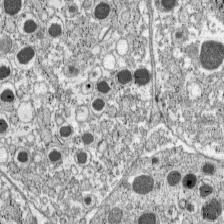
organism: C57BL Mouse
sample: Pancreatic islet